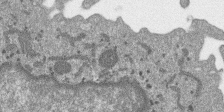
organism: Human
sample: Lung epithelial cells infected with SARS-CoV-2